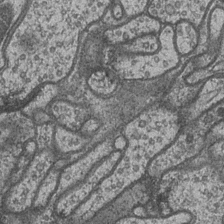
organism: Drosophila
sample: Optic medulla